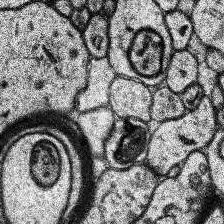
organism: Human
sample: Temporal Lobe